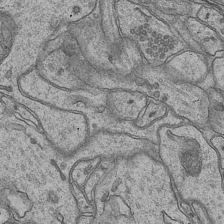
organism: Mouse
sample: CA1 Hippocampus